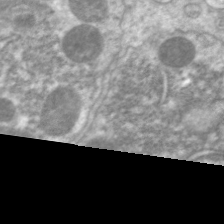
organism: C. elegans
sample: Pharynx